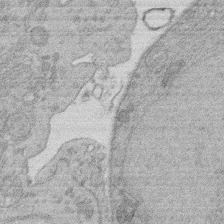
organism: Rat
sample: Salivary granule